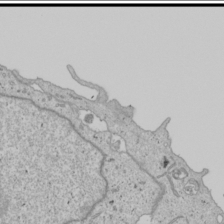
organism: Human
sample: Mitochondria in U2OS cells